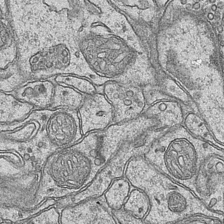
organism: Mouse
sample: CA1 Hippocampus